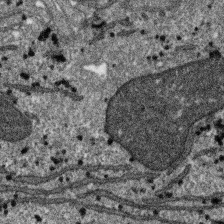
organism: Human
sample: Lung epithelial cells infected with SARS-CoV-2